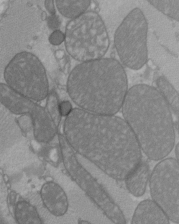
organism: C57BL Mouse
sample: Heart